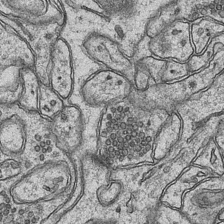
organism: Mouse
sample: CA1 Hippocampus